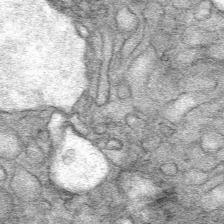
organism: Mouse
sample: Mouse Salivary gland